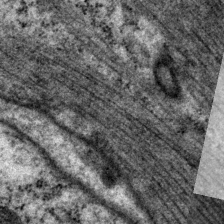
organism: P. pacificus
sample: Pharynx